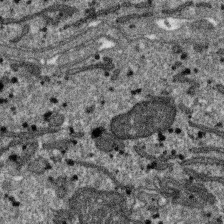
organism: Human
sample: Lung epithelial cells infected with SARS-CoV-2